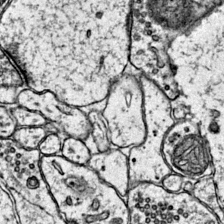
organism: Mouse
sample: Primary visual cortex